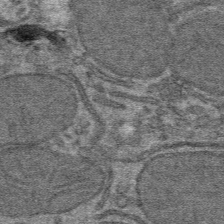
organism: Mouse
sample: Mouse hepatocytes